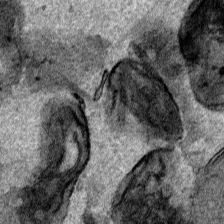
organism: Human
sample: Mitochondria in HCT116 cells